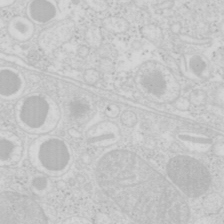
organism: Mouse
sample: Pancreas